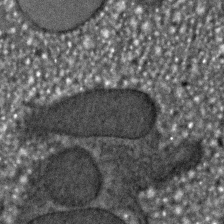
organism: C. elegans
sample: C. elegans embryo